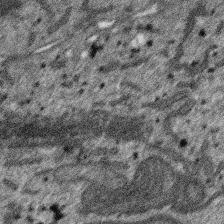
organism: Human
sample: Lung epithelial cells infected with SARS-CoV-2